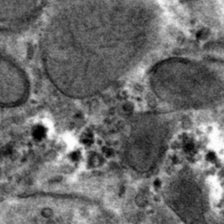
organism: Mouse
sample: Mouse hepatocytes